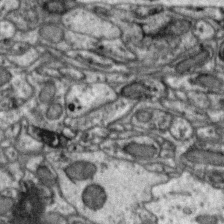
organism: Zebra finch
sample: Brain